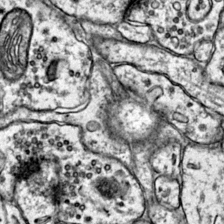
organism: Mouse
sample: Primary visual cortex